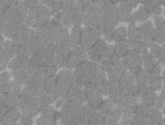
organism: C57BL Mouse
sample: Tibialis anterior muscle cell